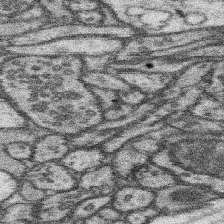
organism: Mouse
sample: Somatosensory cortex neuropil